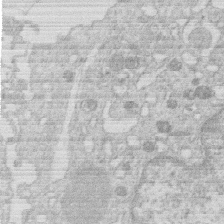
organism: Human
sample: Macrophage cells